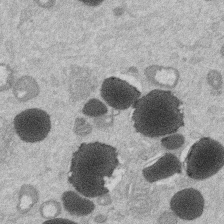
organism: Mouse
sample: Dividing mouse embryo 1 cell stage